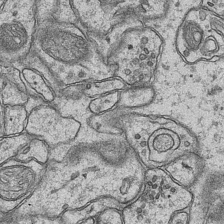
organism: Mouse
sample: CA1 Hippocampus